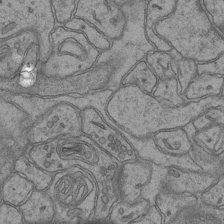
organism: Mouse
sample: CA1 Hippocampus